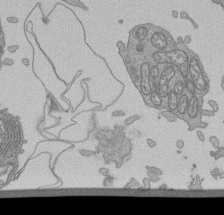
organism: Human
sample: Retinal organoid Rod and Cone cells